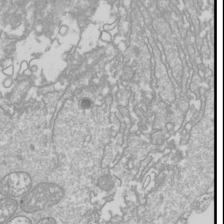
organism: Drosophila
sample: Cell division; meiosis; drosophila spermatocytes